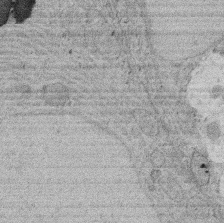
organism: Rat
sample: Salivary granule